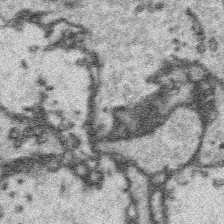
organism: Platynereis dumerilii